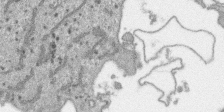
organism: Human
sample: Lung epithelial cells infected with SARS-CoV-2